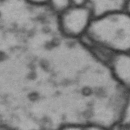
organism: Drosophila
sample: Brain